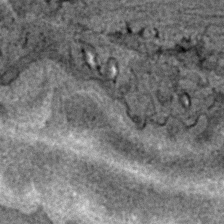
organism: C. elegans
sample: C. elegans embryo